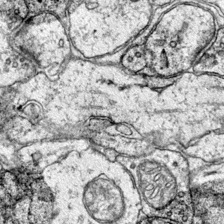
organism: Mouse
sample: Primary visual cortex